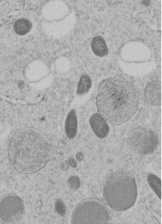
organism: C. elegans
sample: C. elegans embryo early stage